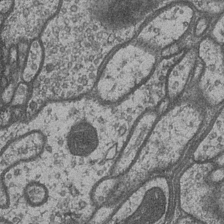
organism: Drosophila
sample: Optic medulla